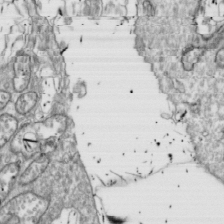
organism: Drosophila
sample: Cell division; meiosis; drosophila spermatocytes